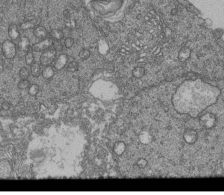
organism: Human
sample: Retinal organoid Rod and Cone cells